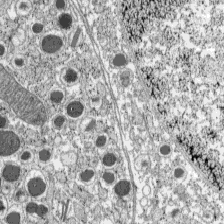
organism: C57BL Mouse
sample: Pancreatic islet